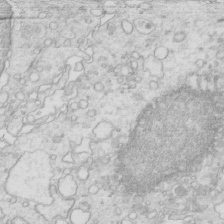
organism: Mouse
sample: Multiciliated cells